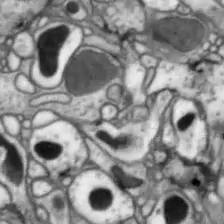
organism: Drosophila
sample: Optic lobe